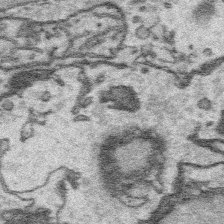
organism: Platynereis dumerilii